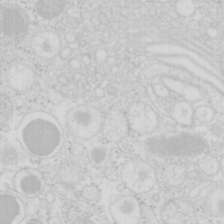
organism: Mouse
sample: Pancreas